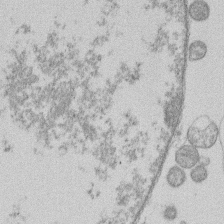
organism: Human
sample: Macrophage cells